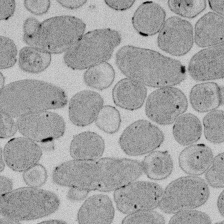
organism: E. coli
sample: Bacterial nucleoid